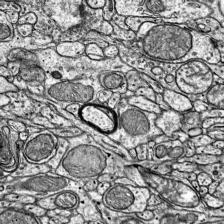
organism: Mouse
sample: Visual Cortex